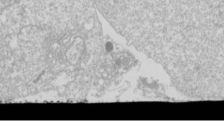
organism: Drosophila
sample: Cell division; meiosis; drosophila spermatocytes